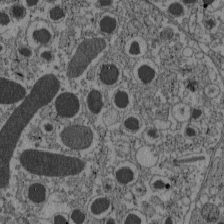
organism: C57BL Mouse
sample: Pancreatic islet